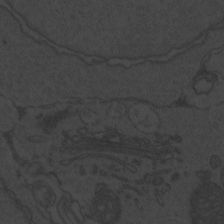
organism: Zebrafish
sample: Macrophage infected with Toxoplasma gondii